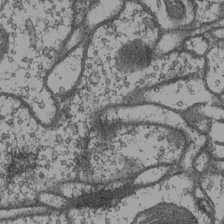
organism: Drosophila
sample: Optic medulla